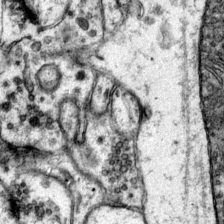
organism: Mouse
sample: Primary visual cortex